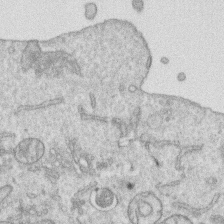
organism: Human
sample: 1205lu cells